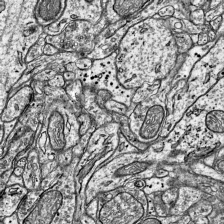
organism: Mouse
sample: Visual Cortex